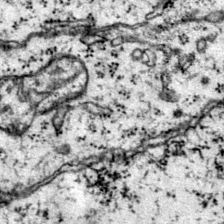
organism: Mouse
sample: Primary visual cortex